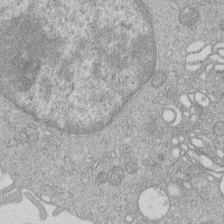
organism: Human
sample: Macrophage cells